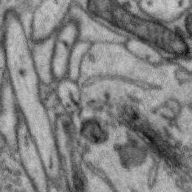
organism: Zebra finch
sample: Brain